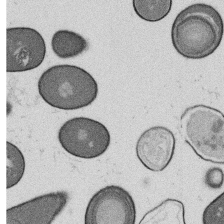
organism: B. subtilis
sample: Bacterial spore